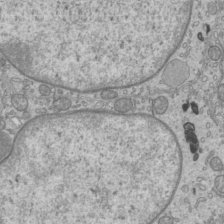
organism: Mouse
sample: Cilia; mouse epididymis